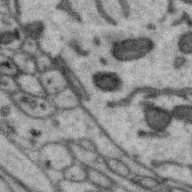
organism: Zebra finch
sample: Brain